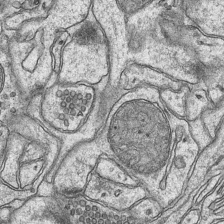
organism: Mouse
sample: CA1 Hippocampus